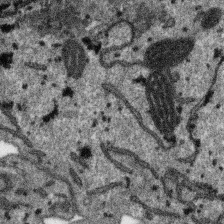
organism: Human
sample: Lung epithelial cells infected with SARS-CoV-2